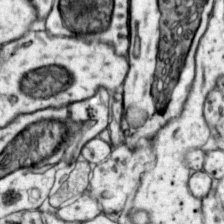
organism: Mouse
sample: Primary visual cortex